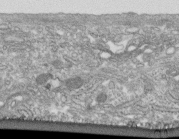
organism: Human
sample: Centriole in fibroblast cells